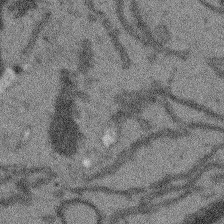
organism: Arabidopsis thaliana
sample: Root tip